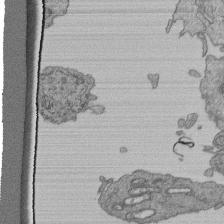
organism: Human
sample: Retinal organoid Rod and Cone cells